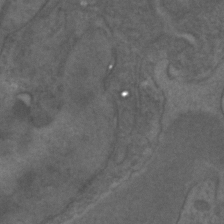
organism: C. elegans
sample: C. elegans embryo